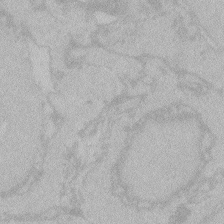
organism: Zebrafish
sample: Macrophage infected with Toxoplasma gondii